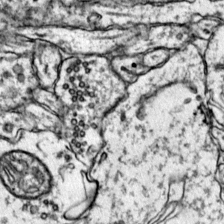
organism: Mouse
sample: Primary visual cortex